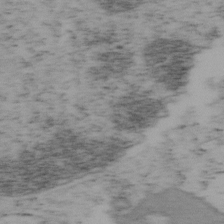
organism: Mouse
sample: OT-I killer T cells with ID8 ovarian cancer cells